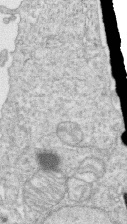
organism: Human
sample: HeLa cell HIV synapse